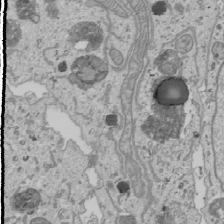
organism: Human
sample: Mitochondria in U2OS cells